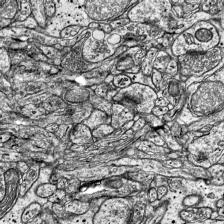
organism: Mouse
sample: Visual Cortex